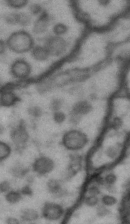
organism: Drosophila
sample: Brain